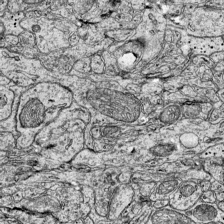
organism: Mouse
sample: Visual Cortex